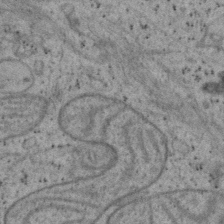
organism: Human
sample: HeLa cells